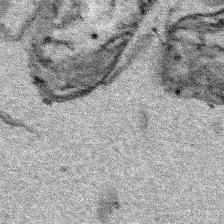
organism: Human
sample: Mitochondria in HCT116 cells